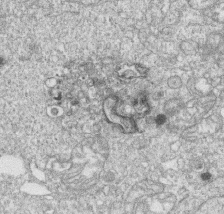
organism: Human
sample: HeLa cell HIV synapse